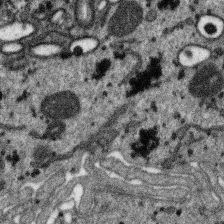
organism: Human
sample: Lung epithelial cells infected with SARS-CoV-2